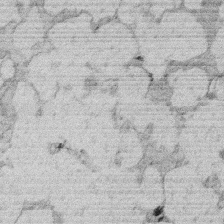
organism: Rat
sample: Salivary granule